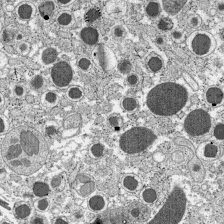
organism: C57BL Mouse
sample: Pancreatic islet